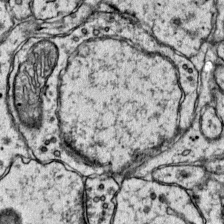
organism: Mouse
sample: Primary visual cortex